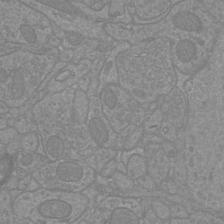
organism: Mouse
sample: Cortical neurons